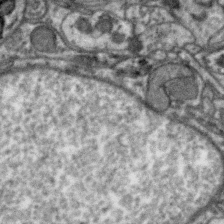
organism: Zebra finch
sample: Brain